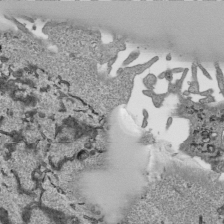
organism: Human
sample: Mitochondria in HCT116 cells